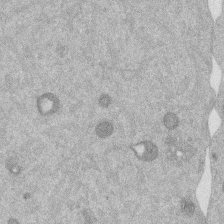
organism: Mouse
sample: Dividing mouse embryo 1 cell stage